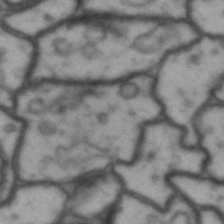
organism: Drosophila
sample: Brain